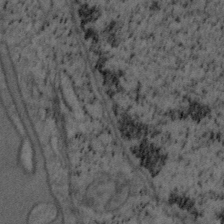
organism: Human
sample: HeLa cells